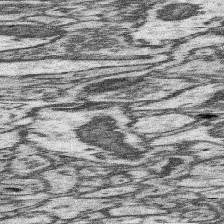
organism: Mouse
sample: Somatosensory cortex neuropil